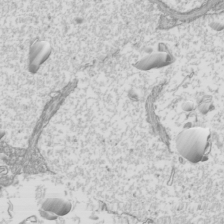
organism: Mouse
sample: Cilia; mouse epididymis